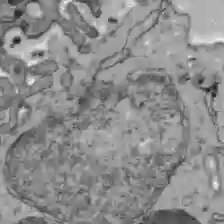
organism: C57BL Mouse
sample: Liver